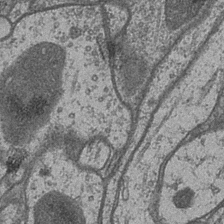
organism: Drosophila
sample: Optic medulla